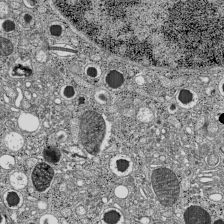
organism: C57BL Mouse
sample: Pancreatic islet